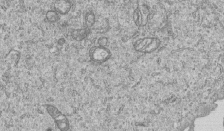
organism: Human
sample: MDA-MB-231 cells